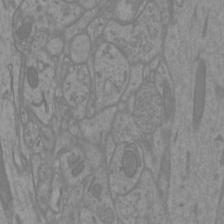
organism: Mouse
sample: Cortical neurons